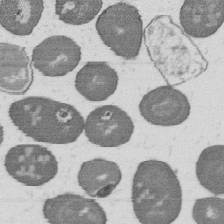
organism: B. subtilis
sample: Bacterial spore